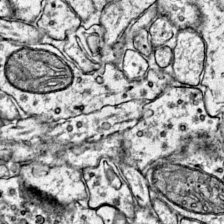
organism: Mouse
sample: Primary visual cortex